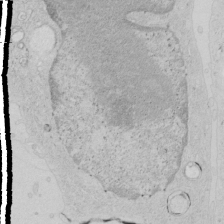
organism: Human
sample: Mitochondria in HCT116 cells